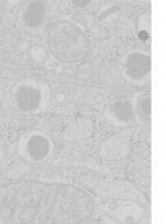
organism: Mouse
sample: Pancreas